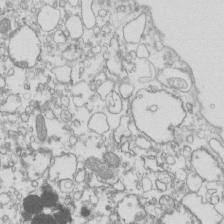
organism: Mouse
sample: Macrophages